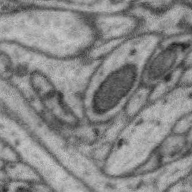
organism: Zebra finch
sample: Brain